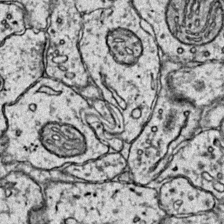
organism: Mouse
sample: Primary visual cortex